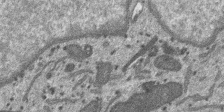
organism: Human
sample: Lung epithelial cells infected with SARS-CoV-2